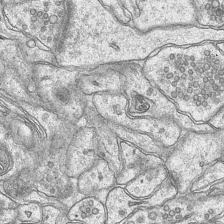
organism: Mouse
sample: CA1 Hippocampus